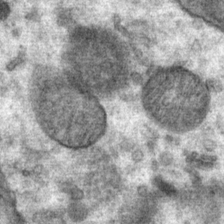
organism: Mouse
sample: Mouse Salivary gland